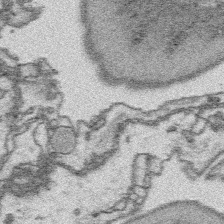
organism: Platynereis dumerilii